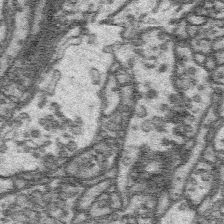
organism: Platynereis dumerilii